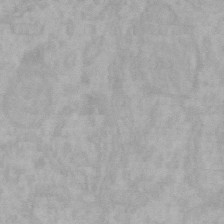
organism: Mouse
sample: Choroid plexus